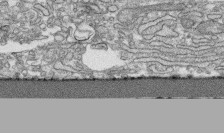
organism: Human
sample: CRL-1474